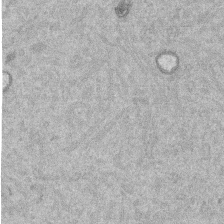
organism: Mouse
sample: Dividing mouse embryo 1 cell stage